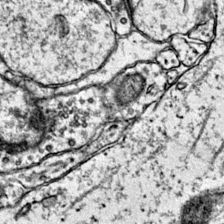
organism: Mouse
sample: Primary visual cortex